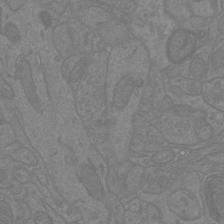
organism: Mouse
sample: Cortical neurons